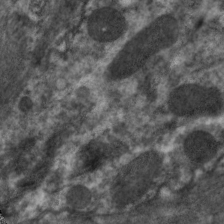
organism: C. elegans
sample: Pharynx